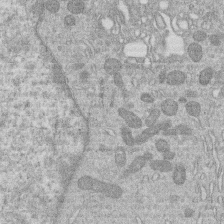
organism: Human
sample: Macrophage cells